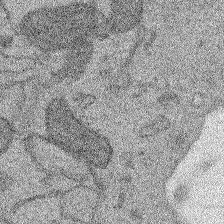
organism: Human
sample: HeLa cells